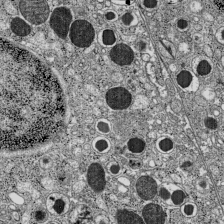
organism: C57BL Mouse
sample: Pancreatic islet